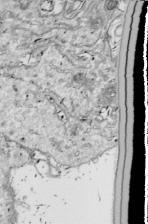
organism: Drosophila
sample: Cell division; meiosis; drosophila spermatocytes